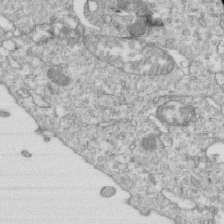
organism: Mouse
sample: Activated OT-1 CD8+ T cells